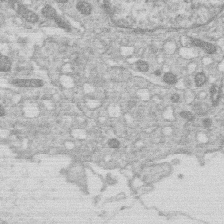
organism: Human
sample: Macrophage cells